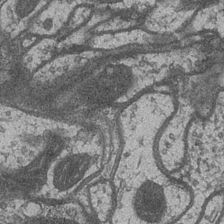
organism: Drosophila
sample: Optic medulla